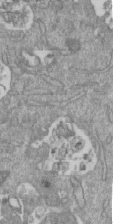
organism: Mouse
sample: ED-1 cell nuclei; centrioles